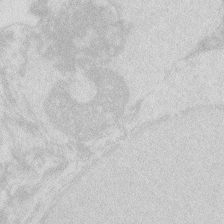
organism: Zebrafish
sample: Macrophage